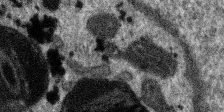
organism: Human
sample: Lung epithelial cells infected with SARS-CoV-2